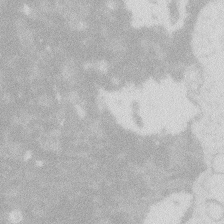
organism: Zebrafish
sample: Macrophage